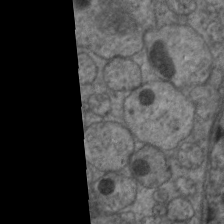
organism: C. elegans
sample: Pharynx